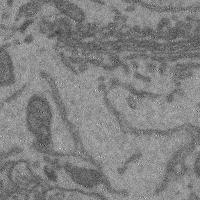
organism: Mouse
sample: Cerebral cortex